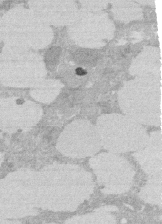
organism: Rat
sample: Salivary granule